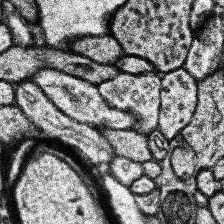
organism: Human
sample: Temporal Lobe